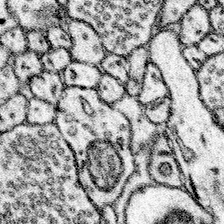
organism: Mouse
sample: Somatosensory cortex neuropil